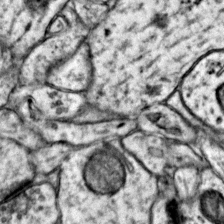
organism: Mouse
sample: Primary visual cortex